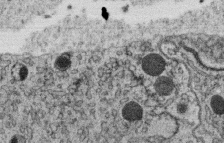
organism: C. elegans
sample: C. elegans oocyte; sperm cells